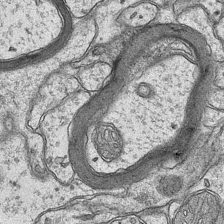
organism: Mouse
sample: CA1 Hippocampus